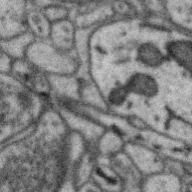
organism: Zebra finch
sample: Brain